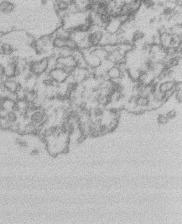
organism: Mouse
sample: T cell stromal cell synapse